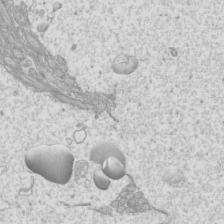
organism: Mouse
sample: Cilia; mouse epididymis